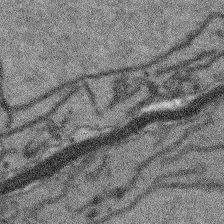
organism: Arabidopsis thaliana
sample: Root tip